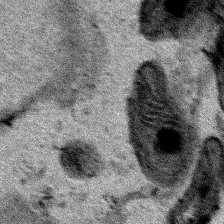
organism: Human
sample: Mitochondria in HCT116 cells